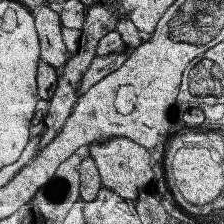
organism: Human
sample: Temporal Lobe